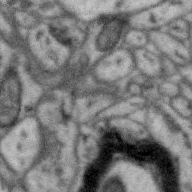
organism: Zebra finch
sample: Brain